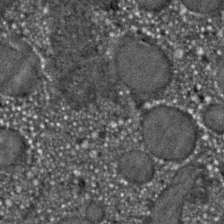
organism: C. elegans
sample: C. elegans embryo